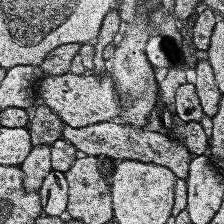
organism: Human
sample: Temporal Lobe